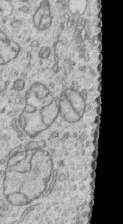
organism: Human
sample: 1205lu cells